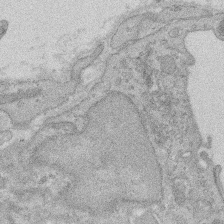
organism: Rat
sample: Salivary granule